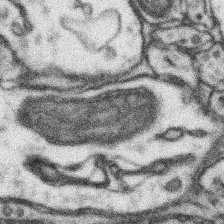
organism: Mouse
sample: Somatosensory cortex neuropil